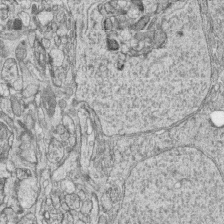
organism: Zebrafish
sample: synaptic ribbons in rod cells and cone cells